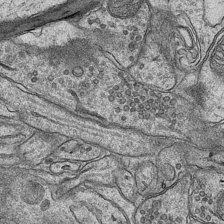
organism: Mouse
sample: CA1 Hippocampus